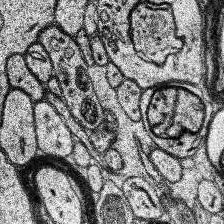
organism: Human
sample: Temporal Lobe